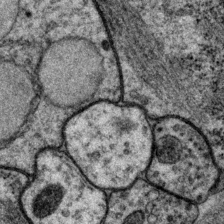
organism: P. pacificus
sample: Pharynx